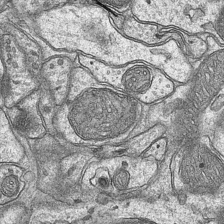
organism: Mouse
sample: CA1 Hippocampus